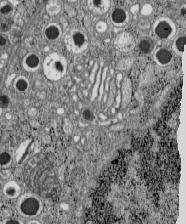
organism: C57BL Mouse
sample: Pancreatic islet